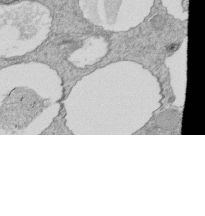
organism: Tetrahymena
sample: Cilia in tetrahymena